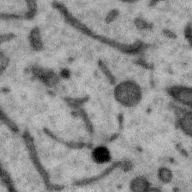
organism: Zebra finch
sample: Brain